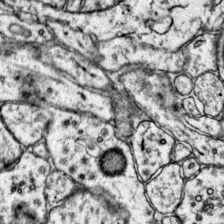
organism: Mouse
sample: Primary visual cortex